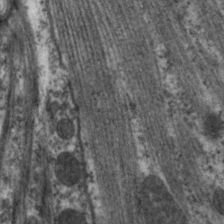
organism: C. elegans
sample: Pharynx